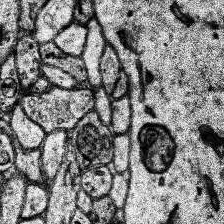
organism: Human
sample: Temporal Lobe